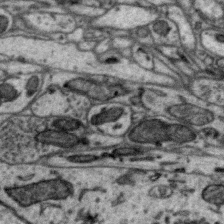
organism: Zebra finch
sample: Brain